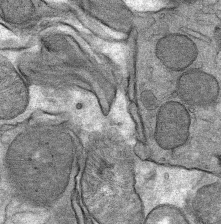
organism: Mouse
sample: Mouse Salivary gland